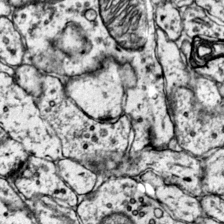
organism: Mouse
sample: Primary visual cortex